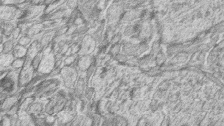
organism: Zebrafish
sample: synaptic ribbons in rod cells and cone cells